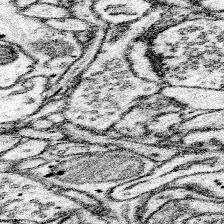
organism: Mouse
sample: Somatosensory cortex neuropil